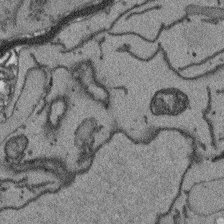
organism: Arabidopsis thaliana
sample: Root tip